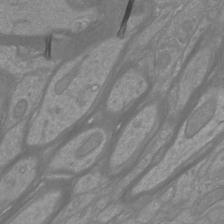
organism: Mouse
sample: Cortical neurons